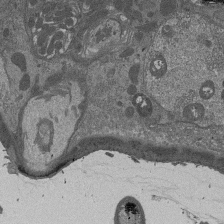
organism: Drosophila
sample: Antenna